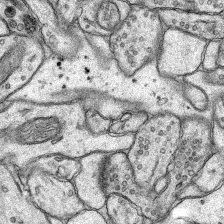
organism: Rat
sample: Hippocampus